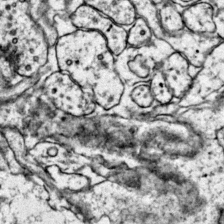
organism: Mouse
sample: Primary visual cortex